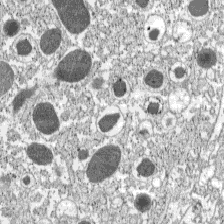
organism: C57BL Mouse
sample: Pancreatic islet